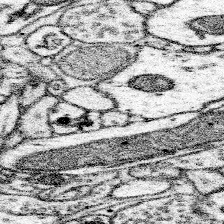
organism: Mouse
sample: Somatosensory cortex neuropil